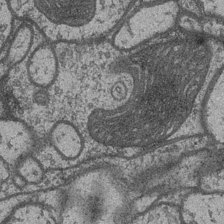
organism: Drosophila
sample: Optic medulla